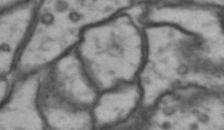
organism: Drosophila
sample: Brain